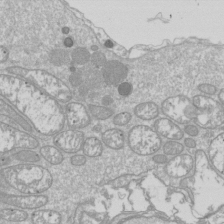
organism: Drosophila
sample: Cell division; meiosis; drosophila spermatocytes